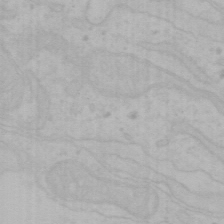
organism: Mouse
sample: Choroid plexus